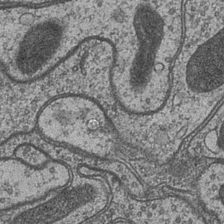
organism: Drosophila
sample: Optic medulla